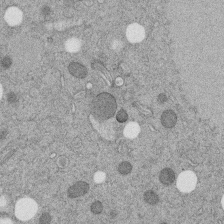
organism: C. elegans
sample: C. elegans embryo early stage